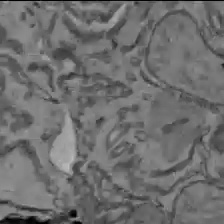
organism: C57BL Mouse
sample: Liver